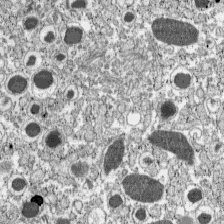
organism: C57BL Mouse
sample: Pancreatic islet